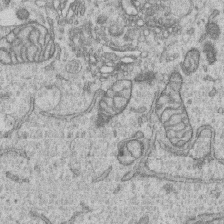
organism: Human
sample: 1205lu cells